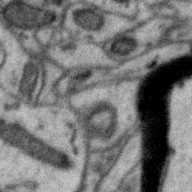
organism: Zebra finch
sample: Brain